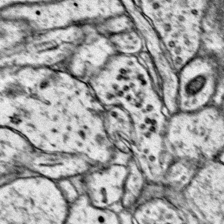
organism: Mouse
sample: Primary visual cortex